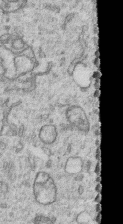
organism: Human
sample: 1205lu cells